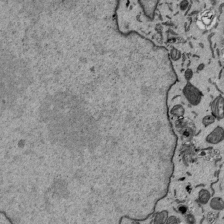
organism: Mouse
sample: ED-1 cell nuclei; centrioles